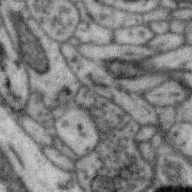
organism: Zebra finch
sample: Brain